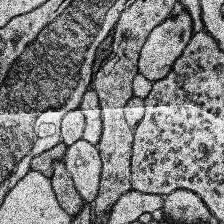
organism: Human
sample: Temporal Lobe